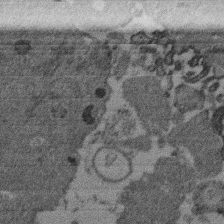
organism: Mouse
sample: Dividing mouse embryo 1 cell stage